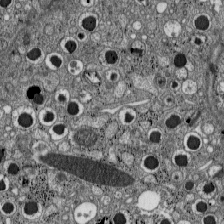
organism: C57BL Mouse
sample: Pancreatic islet